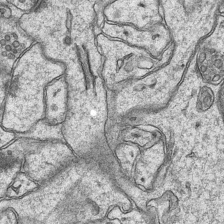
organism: Mouse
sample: CA1 Hippocampus